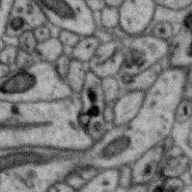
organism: Zebra finch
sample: Brain